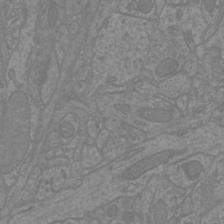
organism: Mouse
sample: Cortical neurons